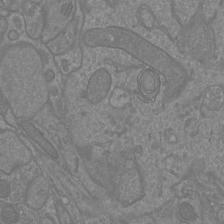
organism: Mouse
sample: Cortical neurons